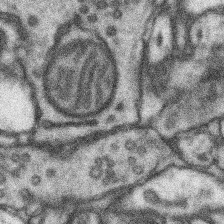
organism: Mouse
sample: Somatosensory cortex neuropil